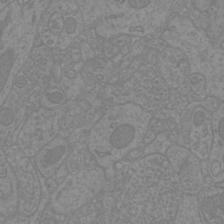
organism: Mouse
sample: Cortical neurons